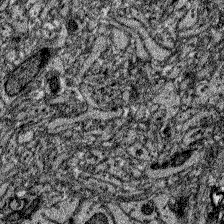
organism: Zebrafish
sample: Larval olfactory bulb